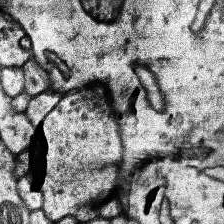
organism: Human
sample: Temporal Lobe